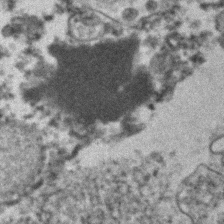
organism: Human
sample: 1205lu cells